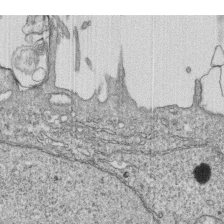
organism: Human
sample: HeLa cell HIV synapse